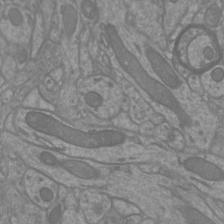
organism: Mouse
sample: Cortical neurons